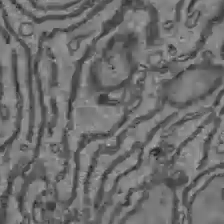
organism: C57BL Mouse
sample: Liver